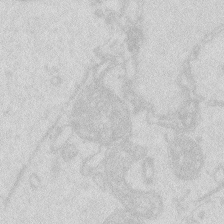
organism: Zebrafish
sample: Macrophage